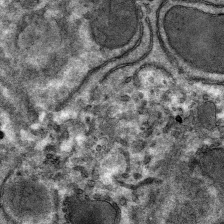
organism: Mouse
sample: Mouse hepatocytes